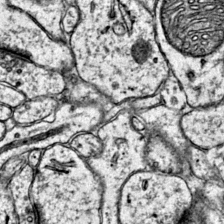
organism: Mouse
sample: Primary visual cortex